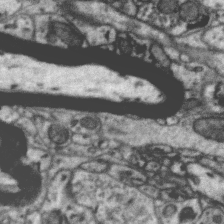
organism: Zebra finch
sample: Brain